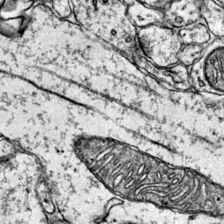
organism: Mouse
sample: Primary visual cortex